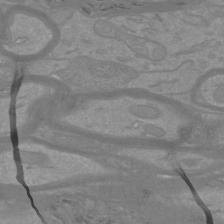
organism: Mouse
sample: Cortical neurons